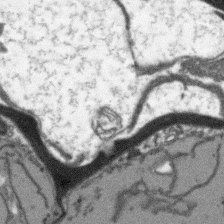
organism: Arabidopsis thaliana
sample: Root tip